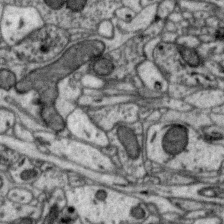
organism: Zebra finch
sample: Brain